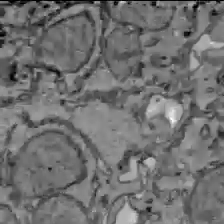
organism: C57BL Mouse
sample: Liver